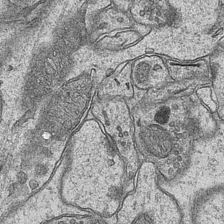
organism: Mouse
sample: CA1 Hippocampus